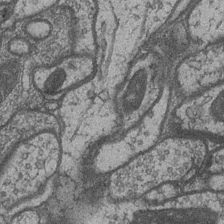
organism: Drosophila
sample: Optic medulla